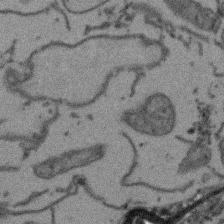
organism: Arabidopsis thaliana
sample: Root tip